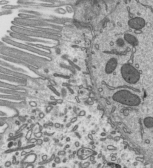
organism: Mouse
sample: Mouse epididymis efferent ductule cilia